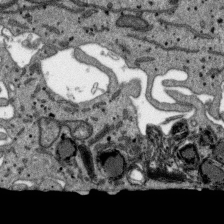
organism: Human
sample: Lung epithelial cells, uninfected (mock) control